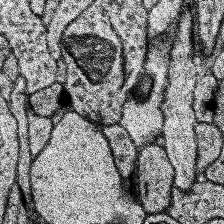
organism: Human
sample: Temporal Lobe